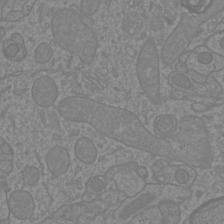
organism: Mouse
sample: Cortical neurons